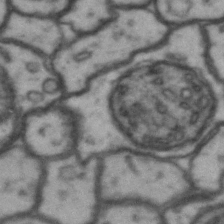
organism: Drosophila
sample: Brain